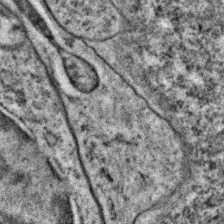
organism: C. elegans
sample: C. elegans embryo